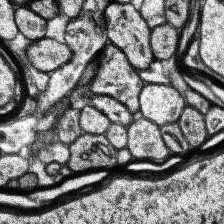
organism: Human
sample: Temporal Lobe